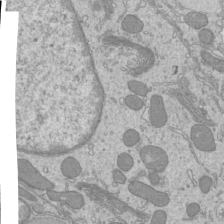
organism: Mouse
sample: Cilia; mouse epididymis